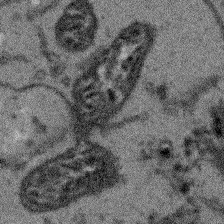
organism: Arabidopsis thaliana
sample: Root tip